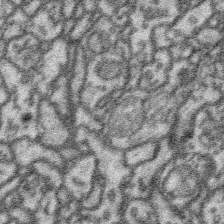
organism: Platynereis dumerilii